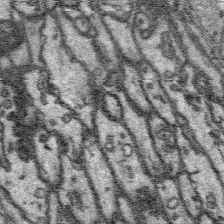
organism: Platynereis dumerilii